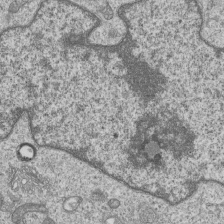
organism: Human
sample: MDA-MB-231 cells